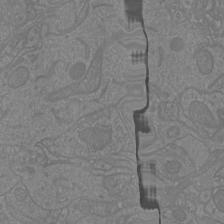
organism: Mouse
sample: Cortical neurons